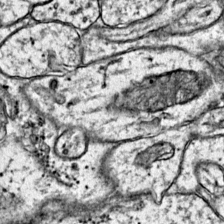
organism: Mouse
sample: Primary visual cortex